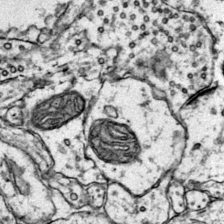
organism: Mouse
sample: Primary visual cortex